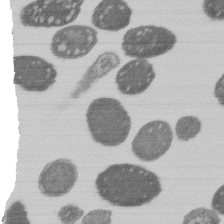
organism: E. coli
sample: Bacterial nucleoid